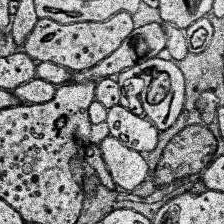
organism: Human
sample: Temporal Lobe